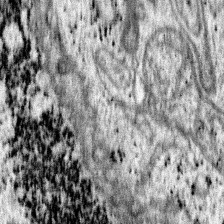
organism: Human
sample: HeLa cells